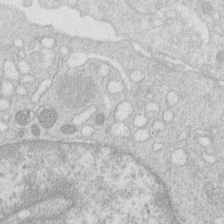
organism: Human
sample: Macrophage cells